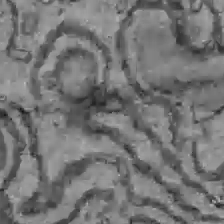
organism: C57BL Mouse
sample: Liver